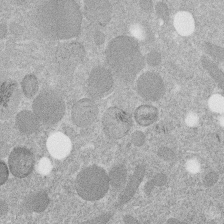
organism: C. elegans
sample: C. elegans embryo early stage